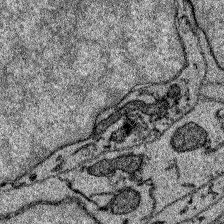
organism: Zebrafish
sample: Larval olfactory bulb